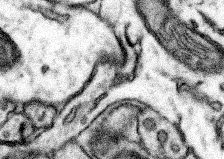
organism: Mouse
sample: Somatosensory cortex neuropil